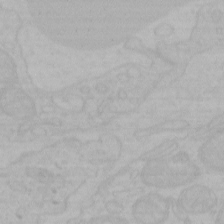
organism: Mouse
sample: Choroid plexus